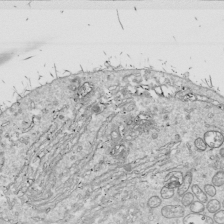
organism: Drosophila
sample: Cell division; meiosis; drosophila spermatocytes